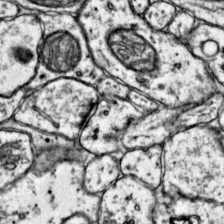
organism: Mouse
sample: Primary visual cortex